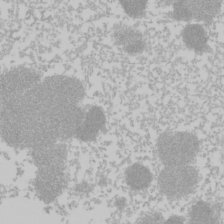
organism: Mouse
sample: Cancer cell death in ED-1 cells